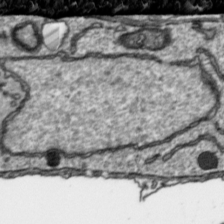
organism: Toxoplasma gondii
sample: Parasites in a vacuole inside a host cell